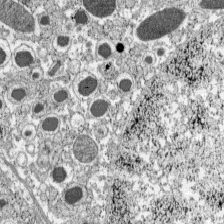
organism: C57BL Mouse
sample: Pancreatic islet